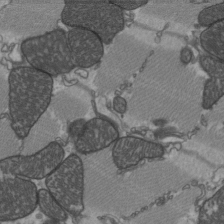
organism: C57BL Mouse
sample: Heart